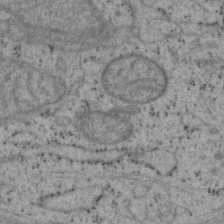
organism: Human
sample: HeLa cells